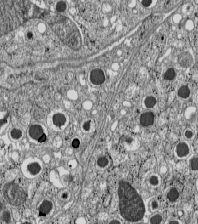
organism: C57BL Mouse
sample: Pancreatic islet